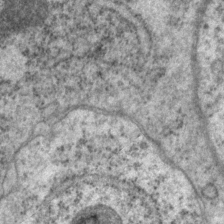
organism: P. pacificus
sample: Pharynx